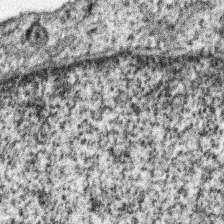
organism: Human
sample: HeLa cells